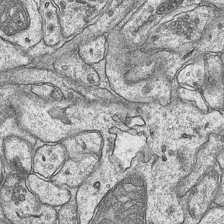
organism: Mouse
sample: CA1 Hippocampus